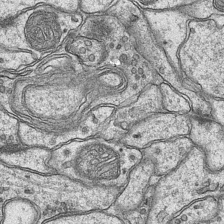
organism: Mouse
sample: CA1 Hippocampus